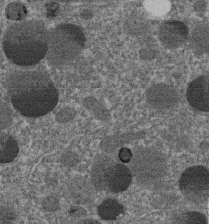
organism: C. elegans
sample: C. elegans embryo early stage